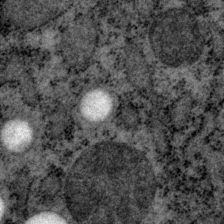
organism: P. pacificus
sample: Pharynx